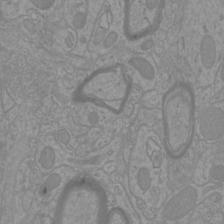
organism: Mouse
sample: Cortical neurons